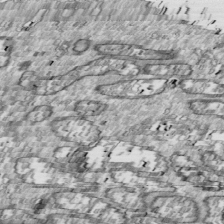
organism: Drosophila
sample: Cell division; meiosis; drosophila spermatocytes